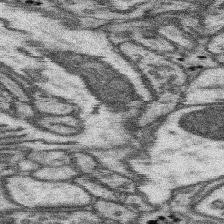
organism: Mouse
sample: Somatosensory cortex neuropil